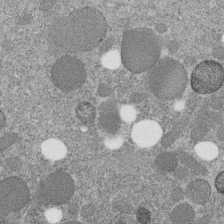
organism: C. elegans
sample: C. elegans embryo early stage